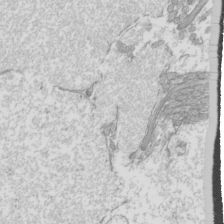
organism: Mouse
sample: Cilia; mouse epididymis